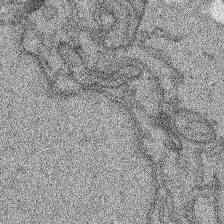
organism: Human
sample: HeLa cells